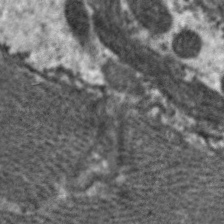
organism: C. elegans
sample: Pharynx